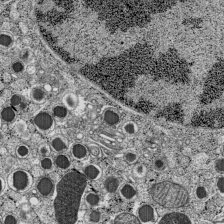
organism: C57BL Mouse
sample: Pancreatic islet